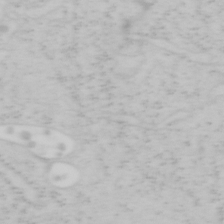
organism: Mouse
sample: OT-I killer T cells with ID8 ovarian cancer cells